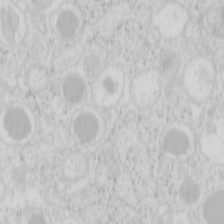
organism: Mouse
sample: Pancreas